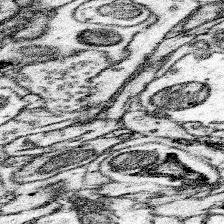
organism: Mouse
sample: Somatosensory cortex neuropil